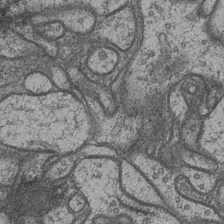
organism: Drosophila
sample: Optic medulla